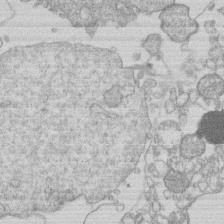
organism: Human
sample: Macrophage cells